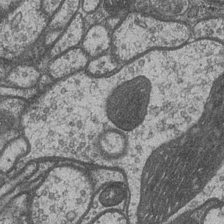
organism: Drosophila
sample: Optic medulla